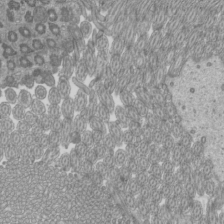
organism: Mouse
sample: Cilia; mouse epididymis